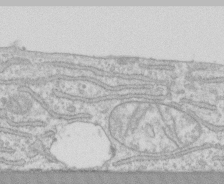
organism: Human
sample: CRL-1474